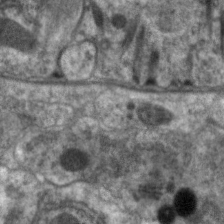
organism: C. elegans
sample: Pharynx